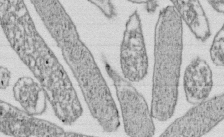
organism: E. coli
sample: Bacterial nucleoid